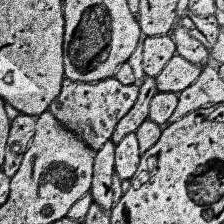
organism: Human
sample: Temporal Lobe